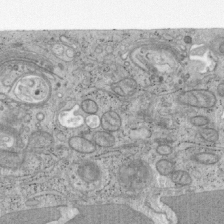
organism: Human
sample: HeLa cells